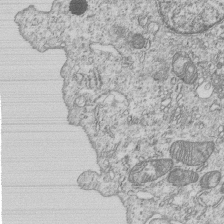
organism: Human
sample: MDA-MB-231 cells